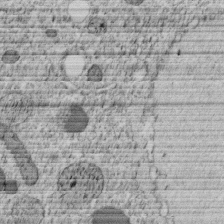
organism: C. elegans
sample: C. elegans embryo early stage